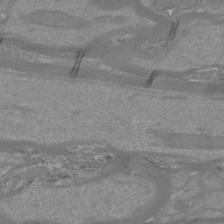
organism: Mouse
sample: Cortical neurons